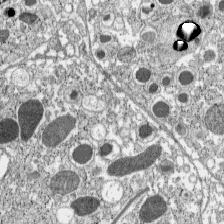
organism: C57BL Mouse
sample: Pancreatic islet